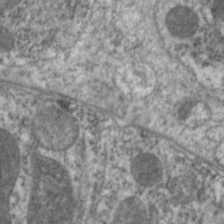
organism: C. elegans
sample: Pharynx